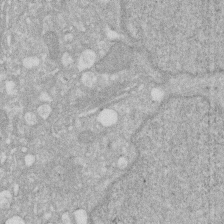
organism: Human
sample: HIV infected U937 cells